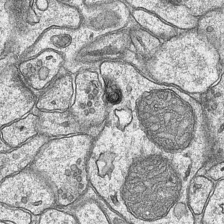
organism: Mouse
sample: CA1 Hippocampus